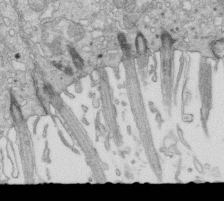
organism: Mouse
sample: Multiciliated cells